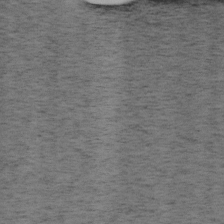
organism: Mouse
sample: OT-I killer T cells with ID8 ovarian cancer cells